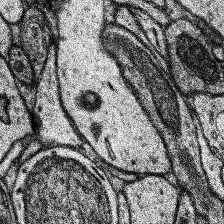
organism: Human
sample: Temporal Lobe